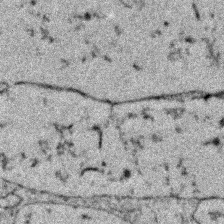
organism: Zebrafish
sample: Zebrafish embryo